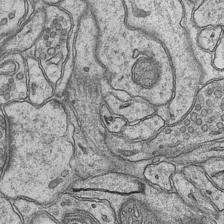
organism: Mouse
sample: CA1 Hippocampus